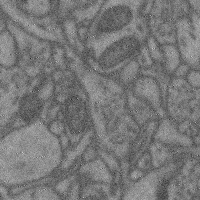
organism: Mouse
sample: Cerebral cortex